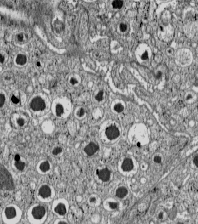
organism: C57BL Mouse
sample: Pancreatic islet